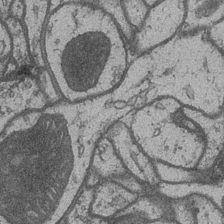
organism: Drosophila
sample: Optic medulla